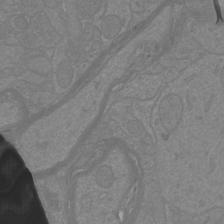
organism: Mouse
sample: Cortical neurons